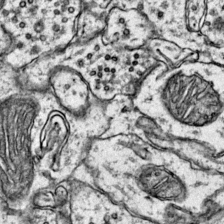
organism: Mouse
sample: Primary visual cortex